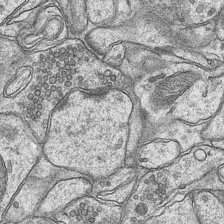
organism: Mouse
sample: CA1 Hippocampus